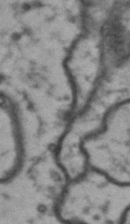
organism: Drosophila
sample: Brain